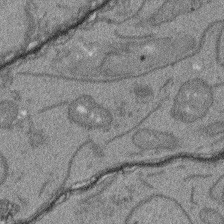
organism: Arabidopsis thaliana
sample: Root tip